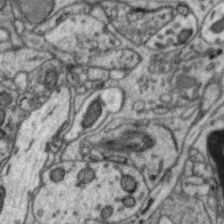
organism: Zebra finch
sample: Brain